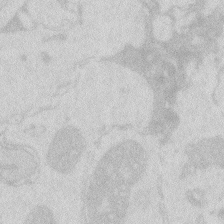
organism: Zebrafish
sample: Macrophage